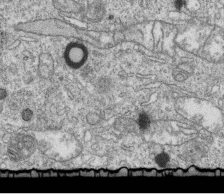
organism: Human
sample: HeLa cell HIV synapse